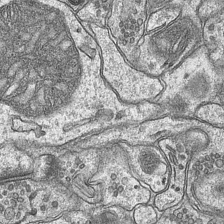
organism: Mouse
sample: CA1 Hippocampus